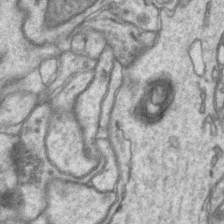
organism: Mouse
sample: CA1 Hippocampus